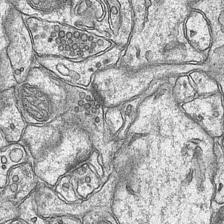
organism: Mouse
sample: CA1 Hippocampus